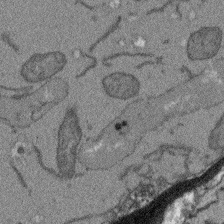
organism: Arabidopsis thaliana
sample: Root tip